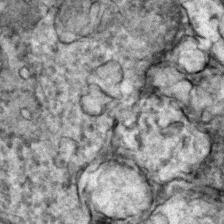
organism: Zebrafish